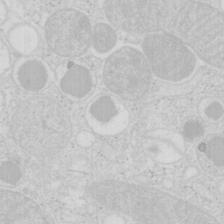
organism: Mouse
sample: Pancreas